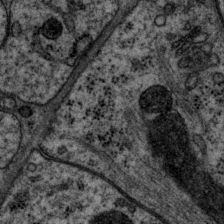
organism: P. pacificus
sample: Pharynx